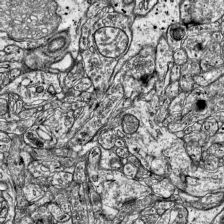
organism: Mouse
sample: Visual Cortex